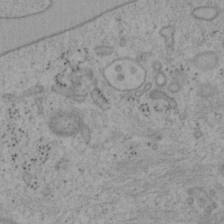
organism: Human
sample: HeLa cells